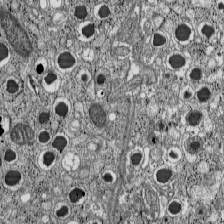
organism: C57BL Mouse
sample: Pancreatic islet